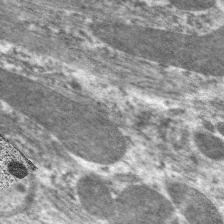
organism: C. elegans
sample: Pharynx